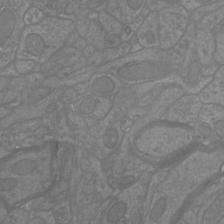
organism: Mouse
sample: Cortical neurons